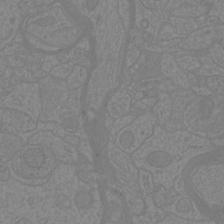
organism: Mouse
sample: Cortical neurons